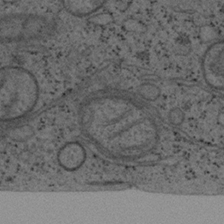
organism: Human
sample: HeLa cells